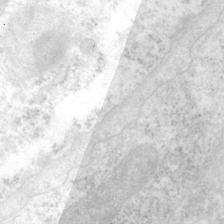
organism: P. pacificus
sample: Pharynx